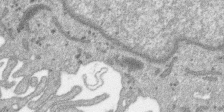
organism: Human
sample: Lung epithelial cells infected with SARS-CoV-2